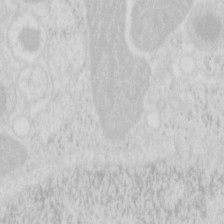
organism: Mouse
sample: Pancreas